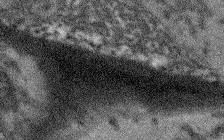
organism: Arabidopsis thaliana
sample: Root tip